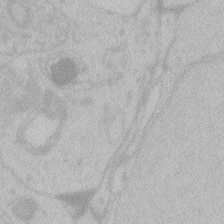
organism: Zebrafish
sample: Macrophage infected with Toxoplasma gondii